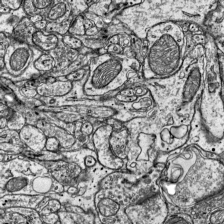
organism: Mouse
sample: Visual Cortex